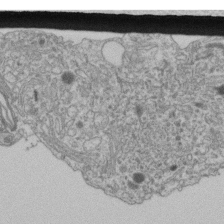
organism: Human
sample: Retinal organoid Rod and Cone cells